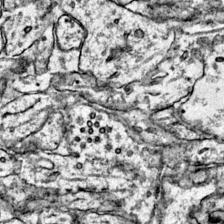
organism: Mouse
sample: Primary visual cortex